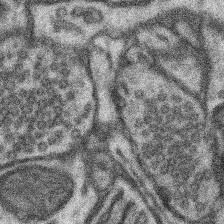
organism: Mouse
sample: Somatosensory cortex neuropil